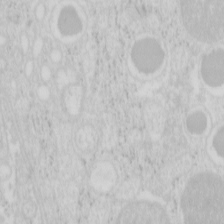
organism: Mouse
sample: Pancreas